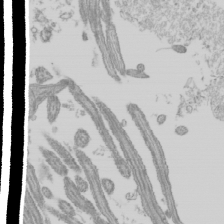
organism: Mouse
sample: Cilia; mouse epididymis